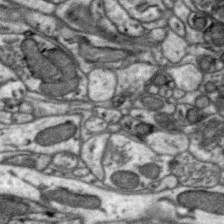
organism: Zebra finch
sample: Brain